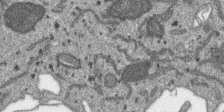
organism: Human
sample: Lung epithelial cells infected with SARS-CoV-2